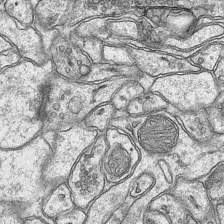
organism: Mouse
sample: CA1 Hippocampus